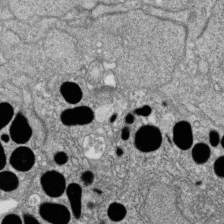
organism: Zebrafish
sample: Cilia; retinal pigment epithelium